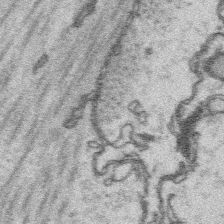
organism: Platynereis dumerilii